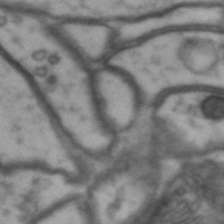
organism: Drosophila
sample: Brain